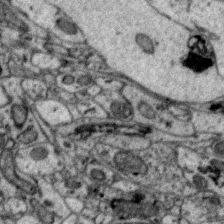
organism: Zebra finch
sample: Brain